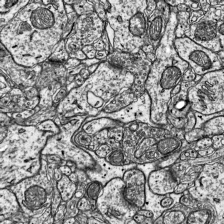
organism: Mouse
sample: Visual Cortex